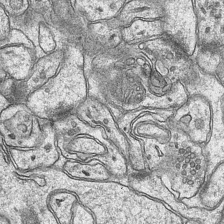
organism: Mouse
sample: CA1 Hippocampus